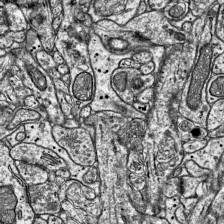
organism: Mouse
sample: Visual Cortex